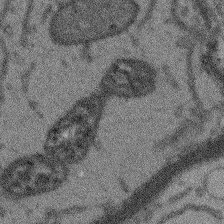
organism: Arabidopsis thaliana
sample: Root tip